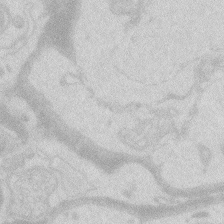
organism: Zebrafish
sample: Macrophage